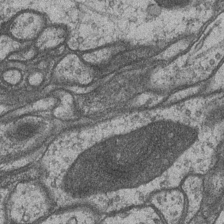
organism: Drosophila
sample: Optic medulla